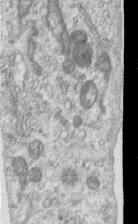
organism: Human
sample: Centriole in RPE cells